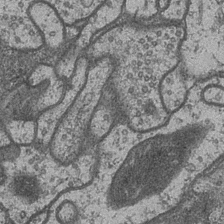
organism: Drosophila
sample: Optic medulla